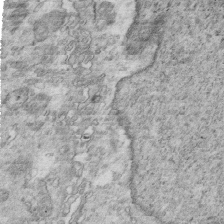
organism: Mouse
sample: Multiciliated cells